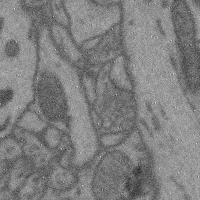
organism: Mouse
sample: Cerebral cortex